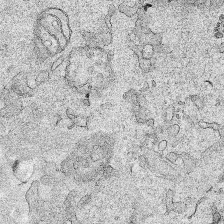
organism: Human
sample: Mitochondria in HCT116 cells